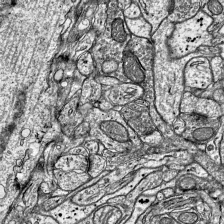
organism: Mouse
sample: Visual Cortex